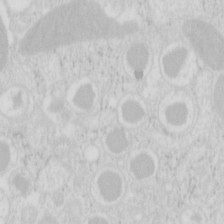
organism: Mouse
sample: Pancreas